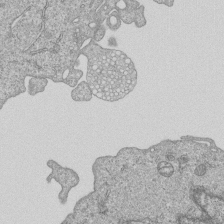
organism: Human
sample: MDA-MB-231 cells